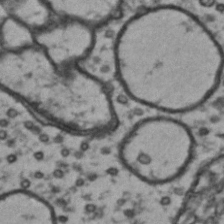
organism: Drosophila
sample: Brain